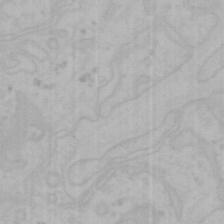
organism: Mouse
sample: Choroid plexus